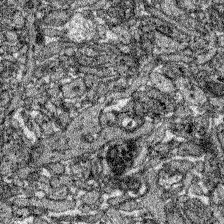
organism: Zebrafish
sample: Larval olfactory bulb